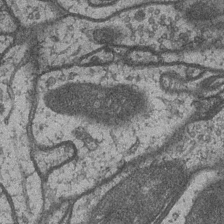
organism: Drosophila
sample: Optic medulla